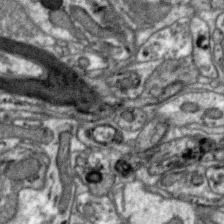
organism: Zebra finch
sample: Brain